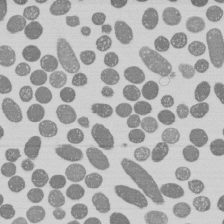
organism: E. coli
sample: Bacterial nucleoid